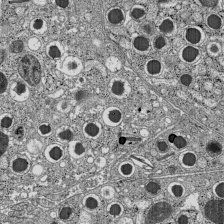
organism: C57BL Mouse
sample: Pancreatic islet